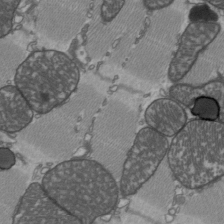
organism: C57BL Mouse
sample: Heart